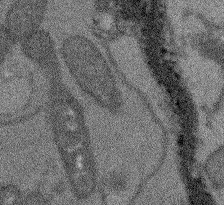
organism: Arabidopsis thaliana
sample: Root tip